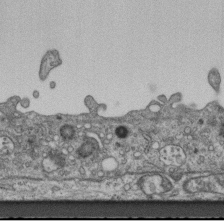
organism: Mouse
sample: Centriole in ependymal cells